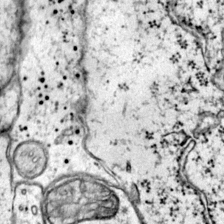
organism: Mouse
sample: Primary visual cortex